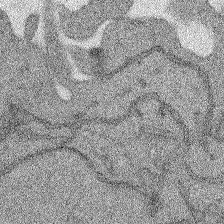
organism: Human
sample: HeLa cells